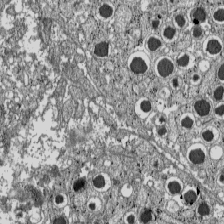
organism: C57BL Mouse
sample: Pancreatic islet